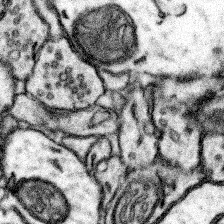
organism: Mouse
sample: Somatosensory cortex neuropil